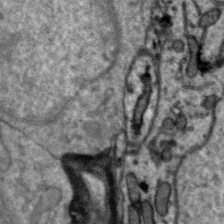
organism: Zebra finch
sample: Brain